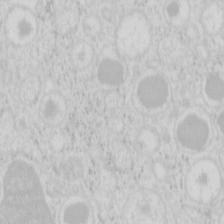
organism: Mouse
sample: Pancreas